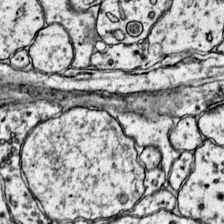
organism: Mouse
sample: Primary visual cortex